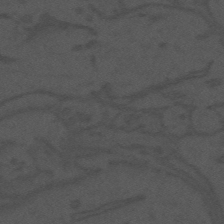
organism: Mouse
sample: Suprachiasmatic nucleus